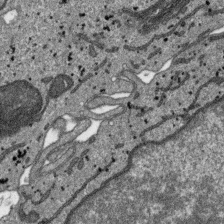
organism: Human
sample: Lung epithelial cells, uninfected (mock) control